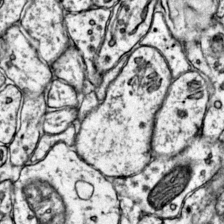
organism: Mouse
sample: Primary visual cortex